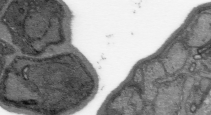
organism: Plasmodium falciparum